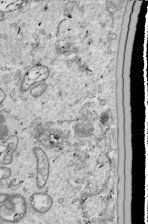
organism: Drosophila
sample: Cell division; meiosis; drosophila spermatocytes